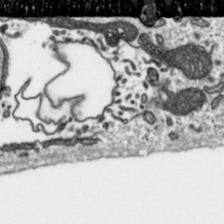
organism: Toxoplasma gondii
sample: Parasites in a vacuole inside a host cell